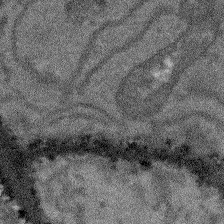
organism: Arabidopsis thaliana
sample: Root tip